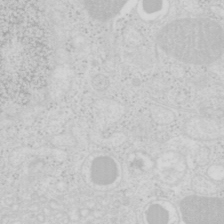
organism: Mouse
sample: Pancreas